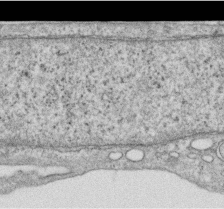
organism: Human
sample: Centriole in RPE cells